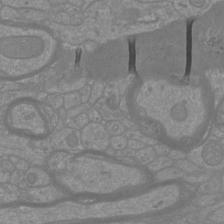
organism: Mouse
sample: Cortical neurons